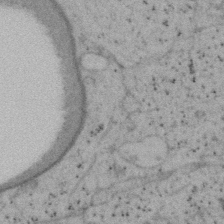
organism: Human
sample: HeLa cells